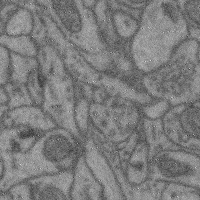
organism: Mouse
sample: Cerebral cortex